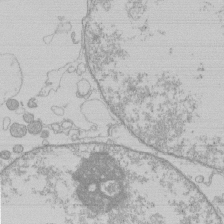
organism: Human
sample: Macrophage cells